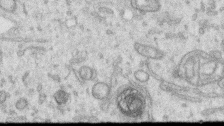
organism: Human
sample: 1205lu cells